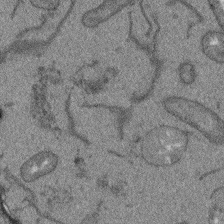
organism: Arabidopsis thaliana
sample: Root tip